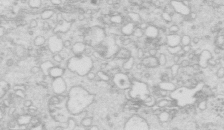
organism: Mouse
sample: Multiciliated cells